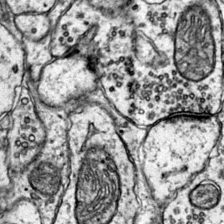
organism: Mouse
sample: Primary visual cortex